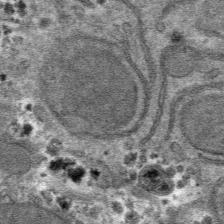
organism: Mouse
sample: Mouse hepatocytes